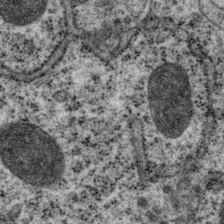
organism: P. pacificus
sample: Pharynx